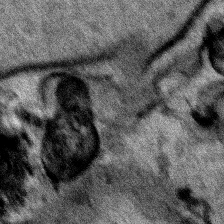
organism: Human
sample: Mitochondria in HCT116 cells